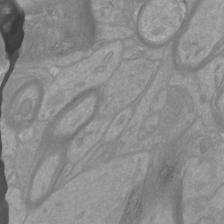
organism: Mouse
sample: Cortical neurons